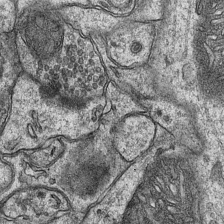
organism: Mouse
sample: CA1 Hippocampus